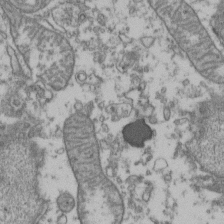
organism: Human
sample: Activated Jurkat CD4+ T cells